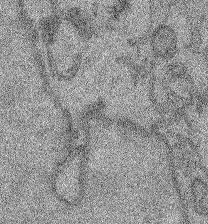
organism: Human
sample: HeLa cells